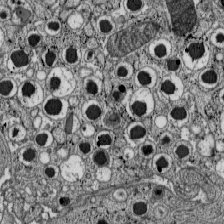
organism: C57BL Mouse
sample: Pancreatic islet